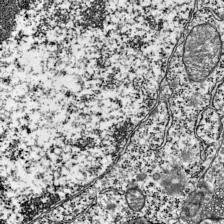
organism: Mouse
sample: Visual Cortex